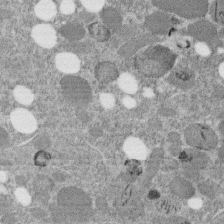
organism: C. elegans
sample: C. elegans embryo early stage